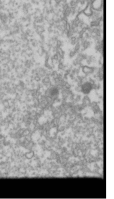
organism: Drosophila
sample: Cell division; meiosis; drosophila spermatocytes